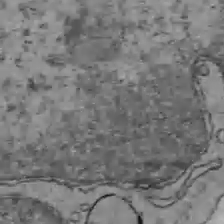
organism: C57BL Mouse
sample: Liver